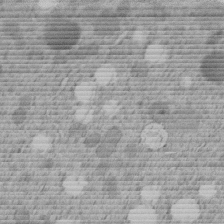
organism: C. elegans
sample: C. elegans embryo early stage